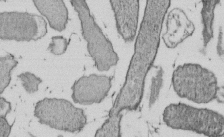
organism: E. coli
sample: Bacterial nucleoid